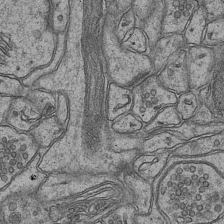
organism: Mouse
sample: CA1 Hippocampus